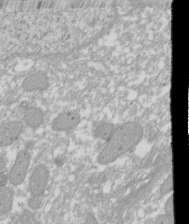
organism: Xenopus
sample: Cilia; centrioles in frog embryo cells